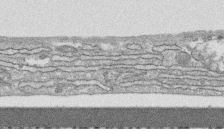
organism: Human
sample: CRL-1474